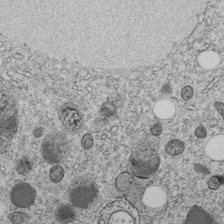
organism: C. elegans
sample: C. elegans embryo early stage